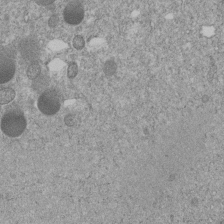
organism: C. elegans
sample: C. elegans embryo early stage